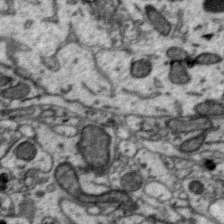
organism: Zebra finch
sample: Brain